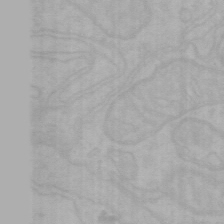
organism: Mouse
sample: Choroid plexus